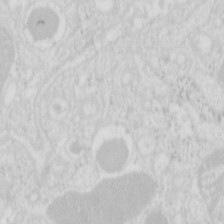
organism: Mouse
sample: Pancreas